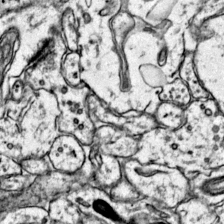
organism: Mouse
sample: Primary visual cortex